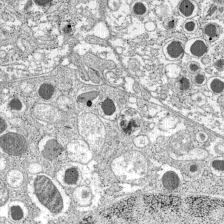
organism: C57BL Mouse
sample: Pancreatic islet